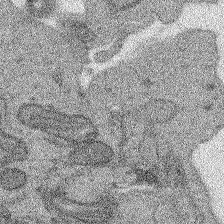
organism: Human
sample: HeLa cells